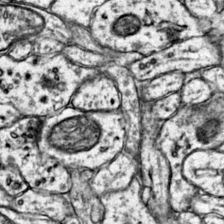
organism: Mouse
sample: Primary visual cortex